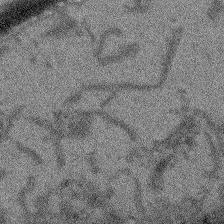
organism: Arabidopsis thaliana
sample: Root tip